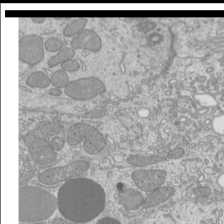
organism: Mouse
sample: Cilia; mouse epididymis